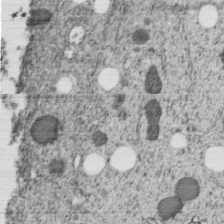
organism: C. elegans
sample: C. elegans embryo early stage